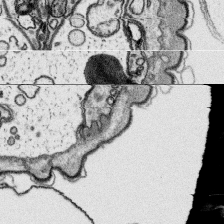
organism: Platynereis dumerilii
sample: Parapodia